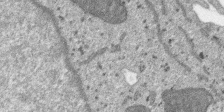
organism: Human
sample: Lung epithelial cells infected with SARS-CoV-2